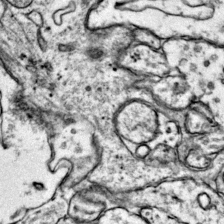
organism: Mouse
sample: Primary visual cortex